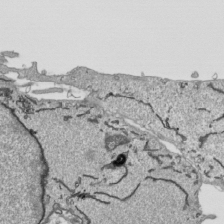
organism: Human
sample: Mitochondria in HCT116 cells